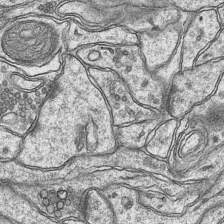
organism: Mouse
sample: CA1 Hippocampus